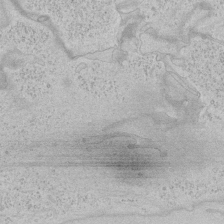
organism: Human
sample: Mitochondria in HCT116 cells